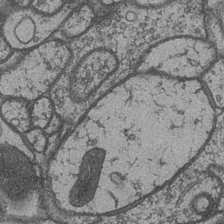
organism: Drosophila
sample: Optic medulla